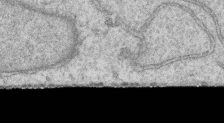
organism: Human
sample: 1205lu cells